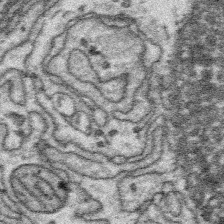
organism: Platynereis dumerilii